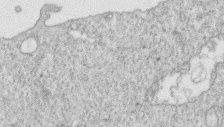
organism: Human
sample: HeLa cell HIV synapse